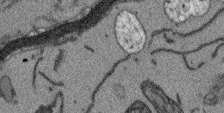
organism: Arabidopsis thaliana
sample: Root tip